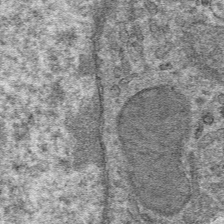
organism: Mouse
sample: Mouse hepatocytes